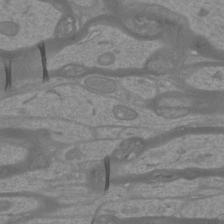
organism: Mouse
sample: Cortical neurons